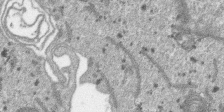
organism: Human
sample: Lung epithelial cells infected with SARS-CoV-2